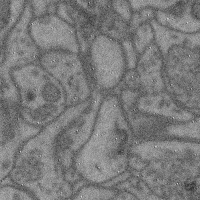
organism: Mouse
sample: Cerebral cortex